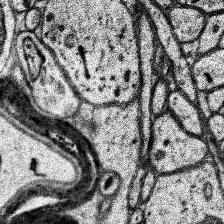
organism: Human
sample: Temporal Lobe